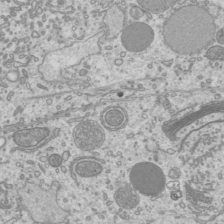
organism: Mouse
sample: Cilia; mouse epididymis